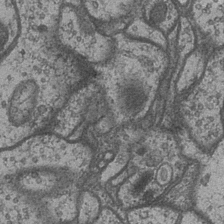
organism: Drosophila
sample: Optic medulla